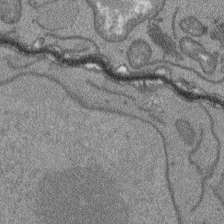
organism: Arabidopsis thaliana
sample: Root tip